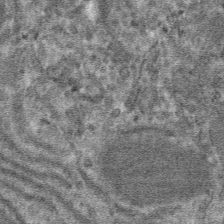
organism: Mouse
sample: Mouse hepatocytes